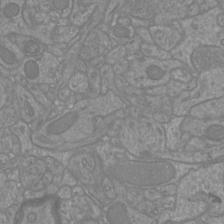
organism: Mouse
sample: Cortical neurons